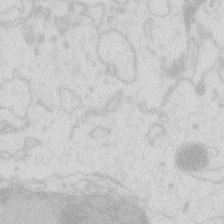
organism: Zebrafish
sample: Macrophage